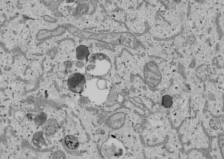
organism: Human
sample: Mitochondria in U2OS cells